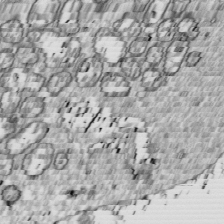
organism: Drosophila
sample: Cell division; meiosis; drosophila spermatocytes